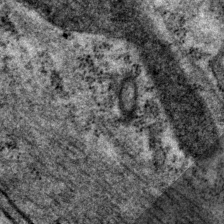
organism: P. pacificus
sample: Pharynx